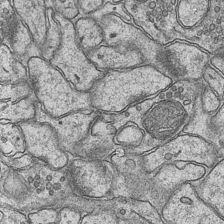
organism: Mouse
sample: CA1 Hippocampus